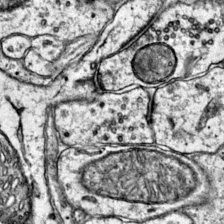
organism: Mouse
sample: Primary visual cortex